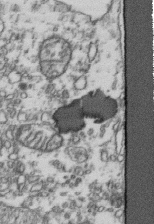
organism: Human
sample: Activated Jurkat CD4+ T cells